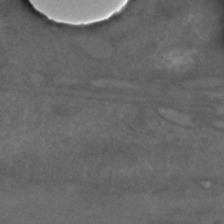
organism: C. elegans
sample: C. elegans embryo